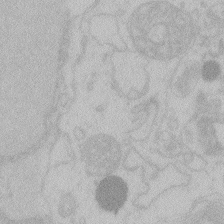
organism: Zebrafish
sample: Macrophage infected with Toxoplasma gondii